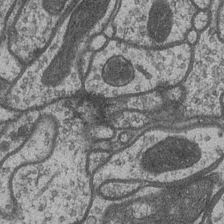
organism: Drosophila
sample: Optic medulla